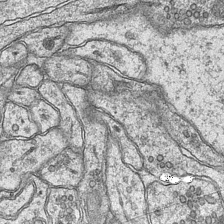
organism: Mouse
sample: CA1 Hippocampus